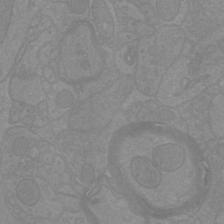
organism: Mouse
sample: Cortical neurons